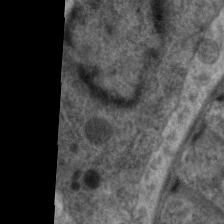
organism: C. elegans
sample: Pharynx